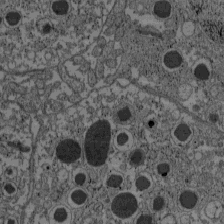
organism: C57BL Mouse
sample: Pancreatic islet